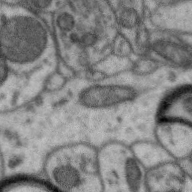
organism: Zebra finch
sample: Brain